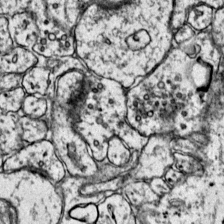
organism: Mouse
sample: Primary visual cortex